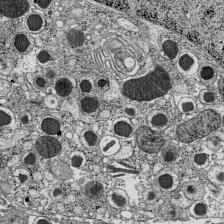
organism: C57BL Mouse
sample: Pancreatic islet